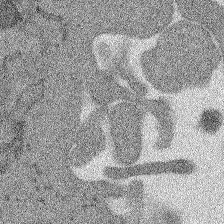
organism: Human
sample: HeLa cells